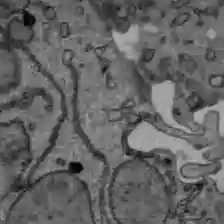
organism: C57BL Mouse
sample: Liver